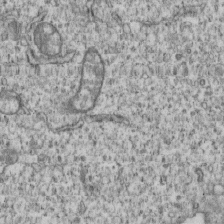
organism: Human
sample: MDA-MB-231 cells